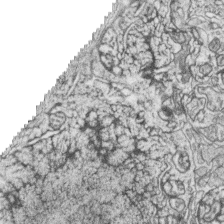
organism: Zebrafish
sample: synaptic ribbons in rod cells and cone cells